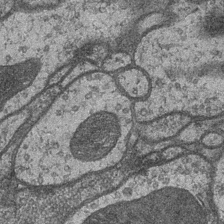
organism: Drosophila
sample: Optic medulla